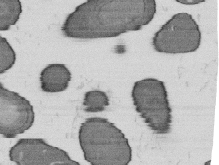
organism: B. subtilis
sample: Bacterial spore